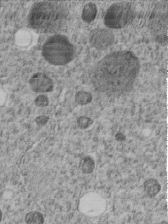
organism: C. elegans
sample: C. elegans embryo early stage